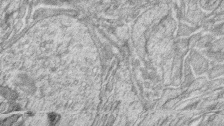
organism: Zebrafish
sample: synaptic ribbons in rod cells and cone cells